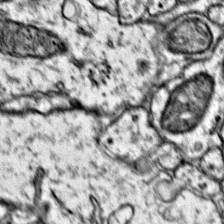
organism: Mouse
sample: Primary visual cortex